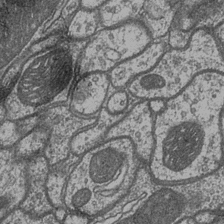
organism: Drosophila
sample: Optic medulla